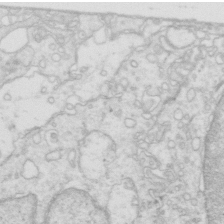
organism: Mouse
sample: Multiciliated cells